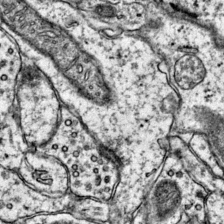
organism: Mouse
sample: Primary visual cortex